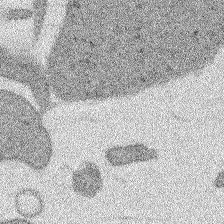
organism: Human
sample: HeLa cells